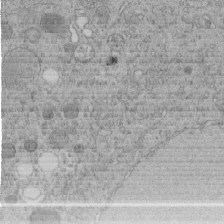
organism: C. elegans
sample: C. elegans embryo early stage